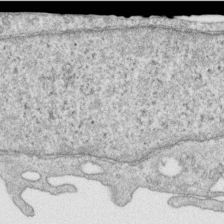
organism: Human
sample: Centriole in RPE cells